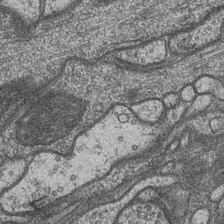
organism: Drosophila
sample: Optic medulla